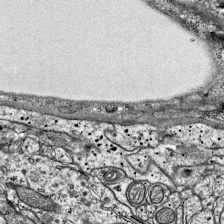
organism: Mouse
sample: Visual Cortex